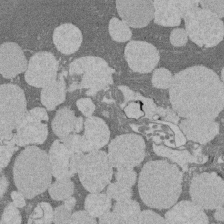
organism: Rat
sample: Salivary granule